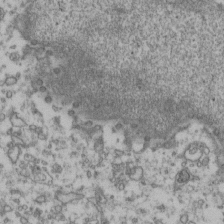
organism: Human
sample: Activated Jurkat CD4+ T cells